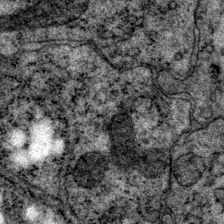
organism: P. pacificus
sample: Pharynx